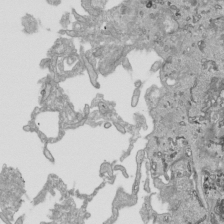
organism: Human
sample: Mitochondria in HCT116 cells